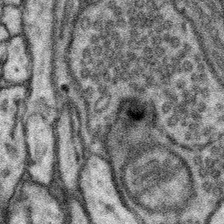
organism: Mouse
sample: Somatosensory cortex neuropil